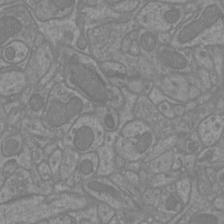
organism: Mouse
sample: Cortical neurons